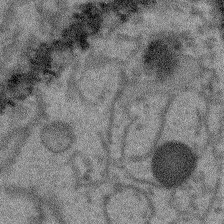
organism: Arabidopsis thaliana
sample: Root tip